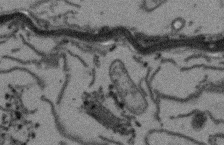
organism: Arabidopsis thaliana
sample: Root tip